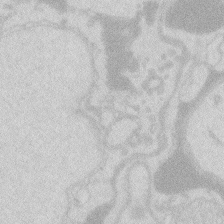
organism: Zebrafish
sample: Macrophage